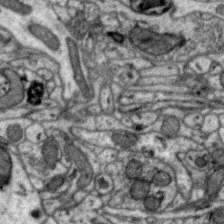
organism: Zebra finch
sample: Brain